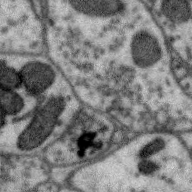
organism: Zebra finch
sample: Brain